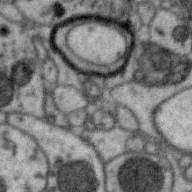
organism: Zebra finch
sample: Brain